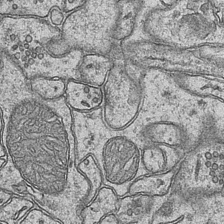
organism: Mouse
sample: CA1 Hippocampus